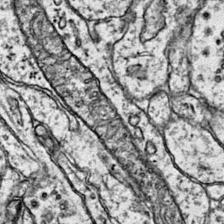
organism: Mouse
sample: Primary visual cortex